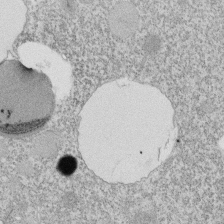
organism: Tetrahymena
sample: Cilia in tetrahymena